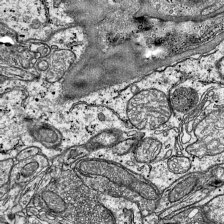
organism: Mouse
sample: Visual Cortex